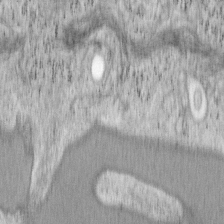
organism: Human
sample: HeLa cells